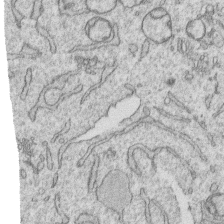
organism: Human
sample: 1205lu cells